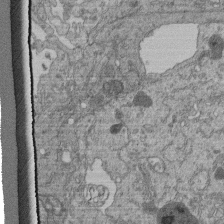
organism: Human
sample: Retinal organoid Rod and Cone cells